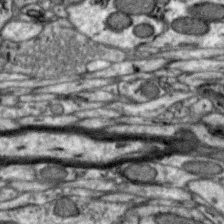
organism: Zebra finch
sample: Brain